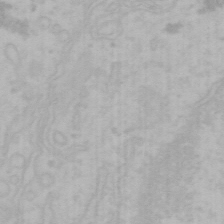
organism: Mouse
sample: Choroid plexus